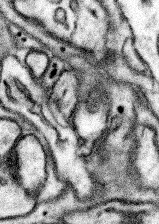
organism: Mouse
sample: Somatosensory cortex neuropil